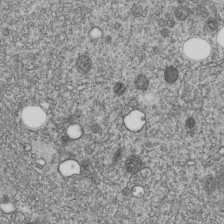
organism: C. elegans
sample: C. elegans embryo early stage